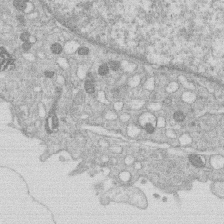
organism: Human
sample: Macrophage cells